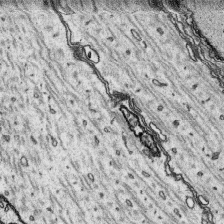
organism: Platynereis dumerilii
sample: Parapodia